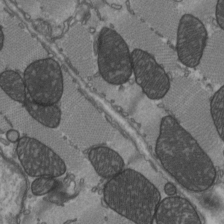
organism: C57BL Mouse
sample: Heart